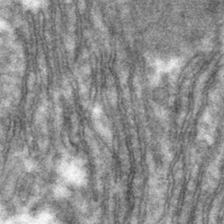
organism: Mouse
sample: Mouse hepatocytes